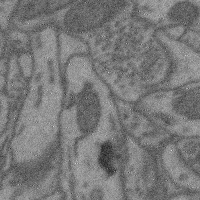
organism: Mouse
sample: Cerebral cortex